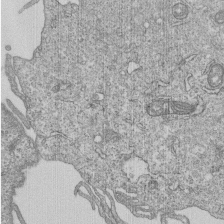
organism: Human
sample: MDA-MB-231 cells